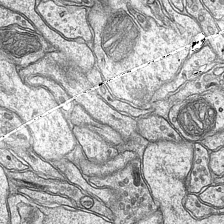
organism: Mouse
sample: CA1 Hippocampus